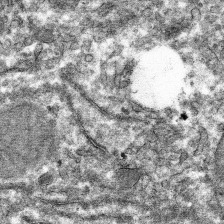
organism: Mouse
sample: Mouse hepatocytes